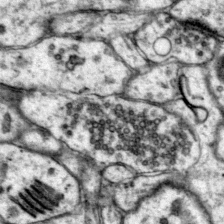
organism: Mouse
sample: Primary visual cortex